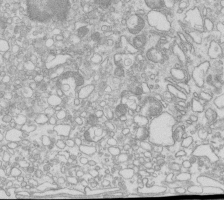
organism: Mouse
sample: Macrophages